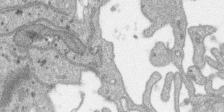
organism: Human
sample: Lung epithelial cells infected with SARS-CoV-2